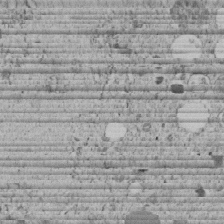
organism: C. elegans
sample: C. elegans embryo early stage